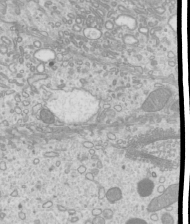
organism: Mouse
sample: Cilia; mouse epididymis